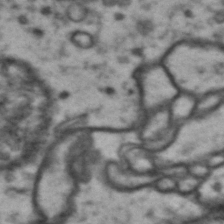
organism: Drosophila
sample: Brain